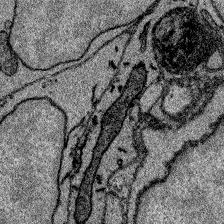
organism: Zebrafish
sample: Larval olfactory bulb